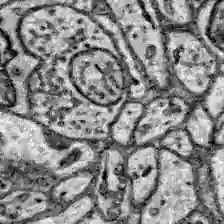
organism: Zebrafish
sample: Brain